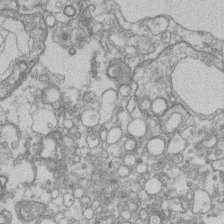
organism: Mouse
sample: T cell stromal cell synapse